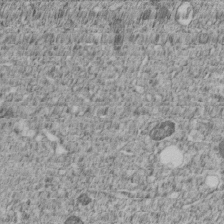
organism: C. elegans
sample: C. elegans embryo early stage